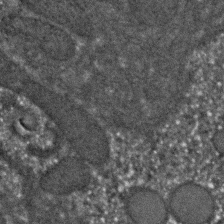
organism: C. elegans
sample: C. elegans embryo